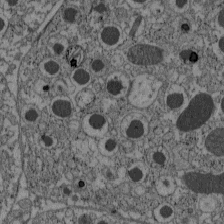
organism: C57BL Mouse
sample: Pancreatic islet